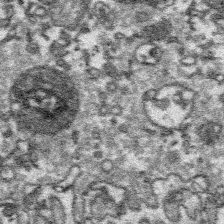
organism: Platynereis dumerilii